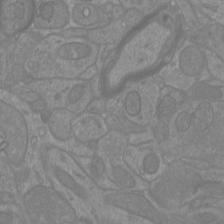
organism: Mouse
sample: Cortical neurons